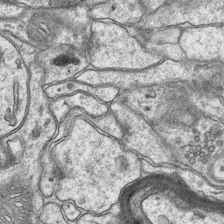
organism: Mouse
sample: CA1 Hippocampus